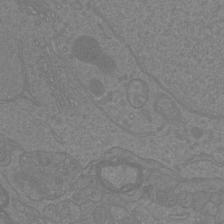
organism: Mouse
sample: Cortical neurons